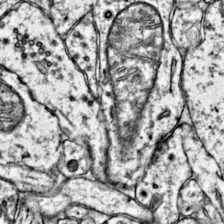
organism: Mouse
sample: Primary visual cortex